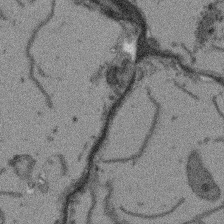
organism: Arabidopsis thaliana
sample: Root tip